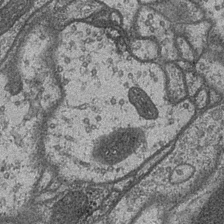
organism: Drosophila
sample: Optic medulla